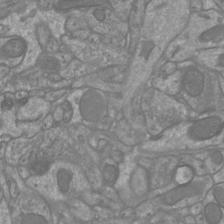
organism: Mouse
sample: Cortical neurons